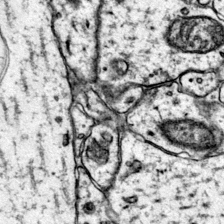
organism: Mouse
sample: Primary visual cortex